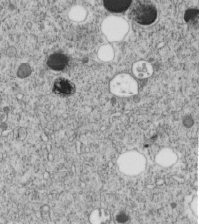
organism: C. elegans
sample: C. elegans embryo early stage